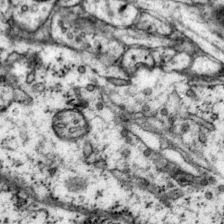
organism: Mouse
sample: Primary visual cortex